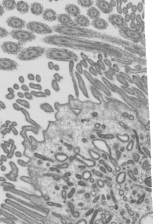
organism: Mouse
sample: Mouse epididymis efferent ductule cilia